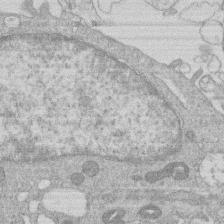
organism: Human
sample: Macrophage cells